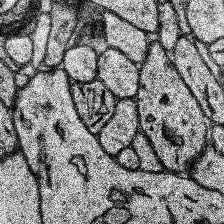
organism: Human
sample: Temporal Lobe